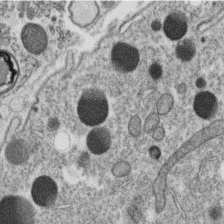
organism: C. elegans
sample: C. elegans oocyte; sperm cells